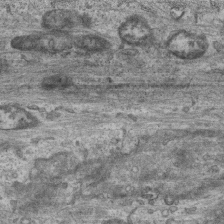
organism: Mouse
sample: Centriole in ependymal cells